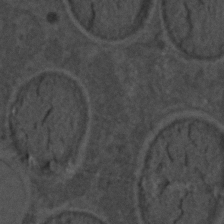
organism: C. elegans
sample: C. elegans embryo